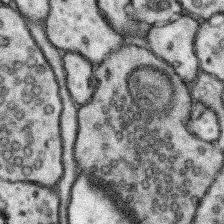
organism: Mouse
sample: Somatosensory cortex neuropil